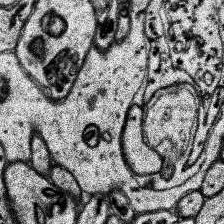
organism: Human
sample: Temporal Lobe